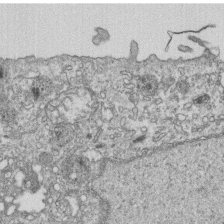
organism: Human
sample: HeLa cell HIV synapse